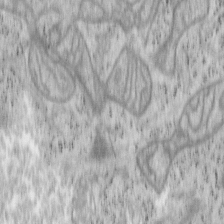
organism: Human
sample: HeLa cells